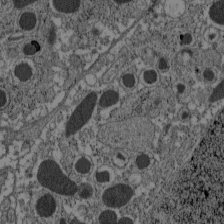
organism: C57BL Mouse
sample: Pancreatic islet